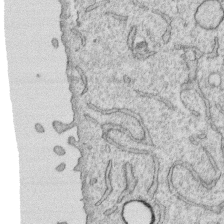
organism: Human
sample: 1205lu cells